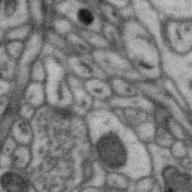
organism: Zebra finch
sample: Brain